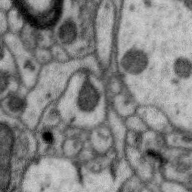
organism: Zebra finch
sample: Brain